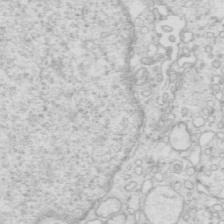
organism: Mouse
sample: Multiciliated cells